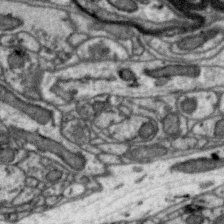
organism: Zebra finch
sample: Brain